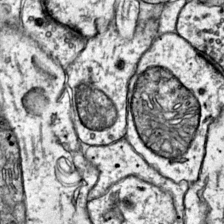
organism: Mouse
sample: Primary visual cortex